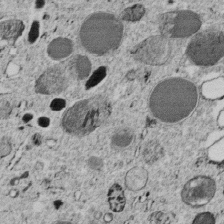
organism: C. elegans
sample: C. elegans embryo early stage